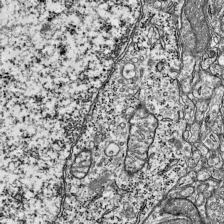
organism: Mouse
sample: Visual Cortex